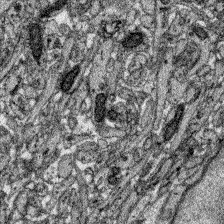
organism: Zebrafish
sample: Larval olfactory bulb